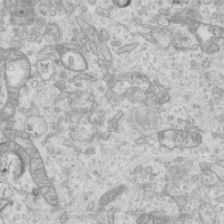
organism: Mouse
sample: Centriole in ependymal cells